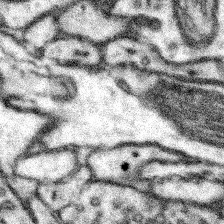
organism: Mouse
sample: Somatosensory cortex neuropil